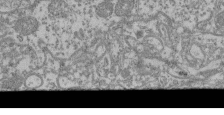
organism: Mouse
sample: Glomerulus